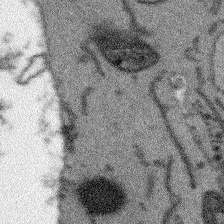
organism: Arabidopsis thaliana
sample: Root tip